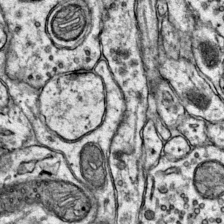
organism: Mouse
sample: Primary visual cortex